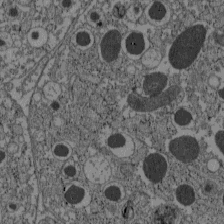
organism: C57BL Mouse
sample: Pancreatic islet